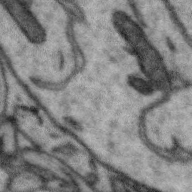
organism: Zebra finch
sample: Brain